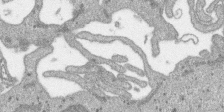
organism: Human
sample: Lung epithelial cells infected with SARS-CoV-2